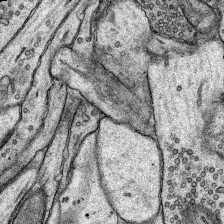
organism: Rat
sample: Hippocampus